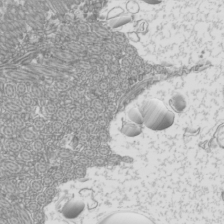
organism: Mouse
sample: Cilia; mouse epididymis